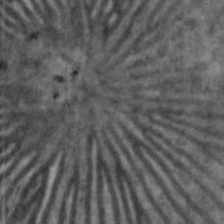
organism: Cable bacterium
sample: Filament